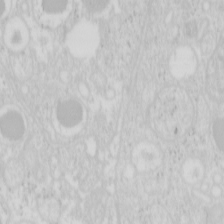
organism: Mouse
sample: Pancreas